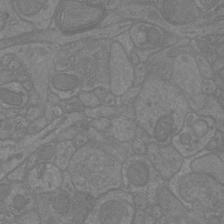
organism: Mouse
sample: Cortical neurons